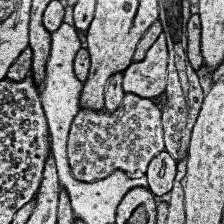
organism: Human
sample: Temporal Lobe